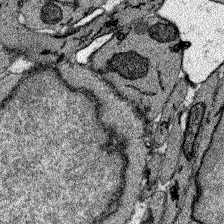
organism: Zebrafish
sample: Larval olfactory bulb